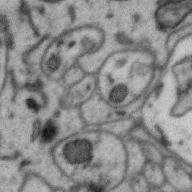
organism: Zebra finch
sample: Brain